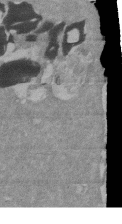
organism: Mouse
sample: ED-1 cell nuclei; centrioles